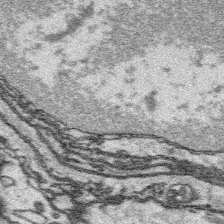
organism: Platynereis dumerilii